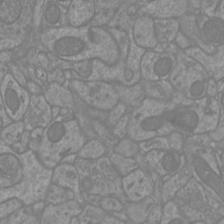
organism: Mouse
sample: Cortical neurons